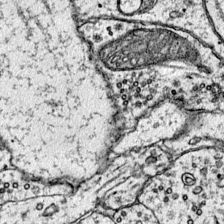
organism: Mouse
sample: Primary visual cortex